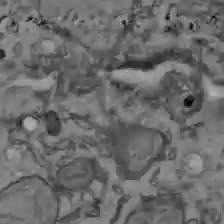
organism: C57BL Mouse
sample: Liver